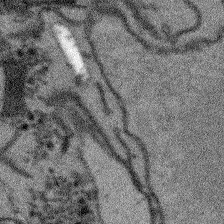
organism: Arabidopsis thaliana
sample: Root tip